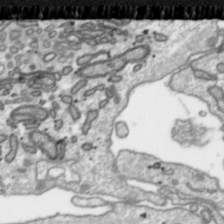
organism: Toxoplasma gondii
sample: Parasites in a vacuole inside a host cell